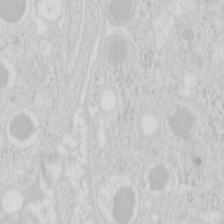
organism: Mouse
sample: Pancreas